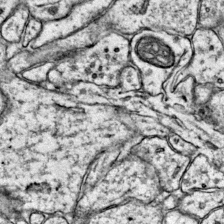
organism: Mouse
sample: Primary visual cortex